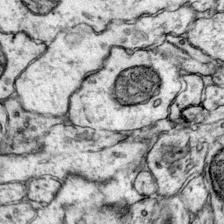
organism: Mouse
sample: Primary visual cortex